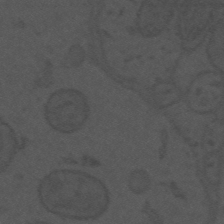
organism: Mouse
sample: Suprachiasmatic nucleus